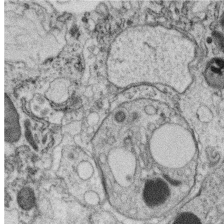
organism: C. elegans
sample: C. elegans oocyte; sperm cells